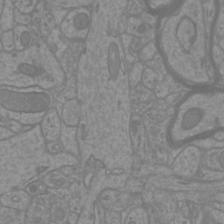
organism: Mouse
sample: Cortical neurons